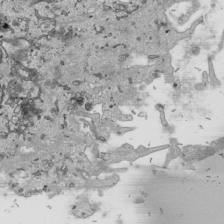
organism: Human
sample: Mitochondria in HCT116 cells